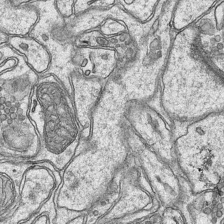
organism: Mouse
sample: CA1 Hippocampus